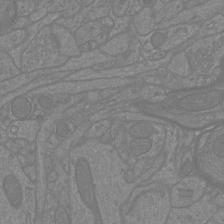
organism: Mouse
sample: Cortical neurons